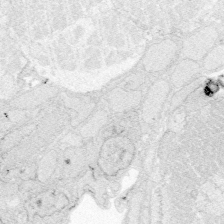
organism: Zebrafish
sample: Whole-Brain